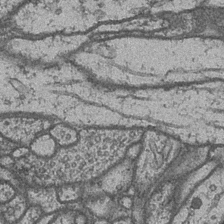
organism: Drosophila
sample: Optic medulla